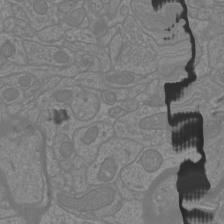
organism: Mouse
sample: Cortical neurons